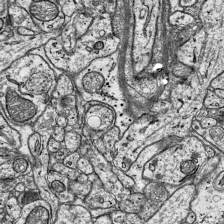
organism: Mouse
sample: Visual Cortex